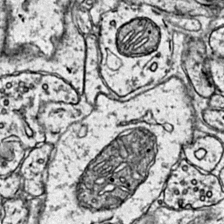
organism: Mouse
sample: Primary visual cortex